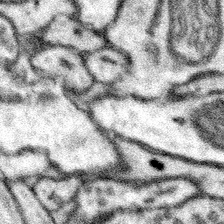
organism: Mouse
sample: Somatosensory cortex neuropil